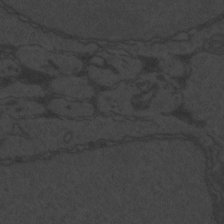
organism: Zebrafish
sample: Macrophage infected with Toxoplasma gondii